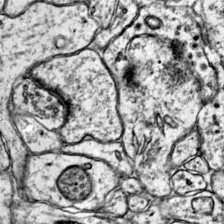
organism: Mouse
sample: Primary visual cortex